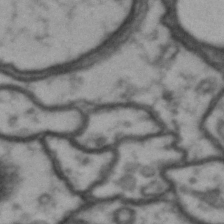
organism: Drosophila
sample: Brain